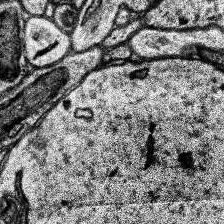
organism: Human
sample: Temporal Lobe